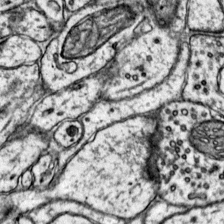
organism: Mouse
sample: Primary visual cortex